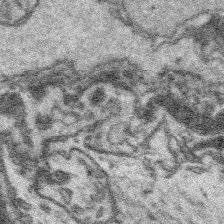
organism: Platynereis dumerilii